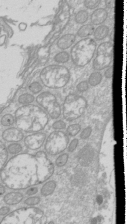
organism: Drosophila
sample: Cell division; meiosis; drosophila spermatocytes